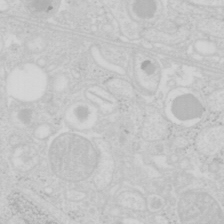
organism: Mouse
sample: Pancreas